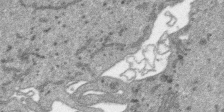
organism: Human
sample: Lung epithelial cells infected with SARS-CoV-2